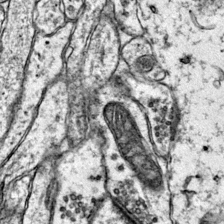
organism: Mouse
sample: Primary visual cortex